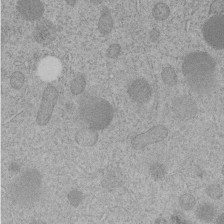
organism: C. elegans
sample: C. elegans embryo early stage